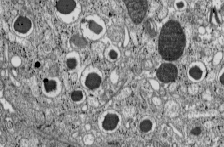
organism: C57BL Mouse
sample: Pancreatic islet